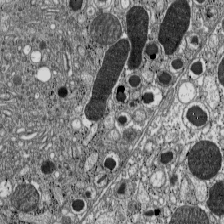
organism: C57BL Mouse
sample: Pancreatic islet